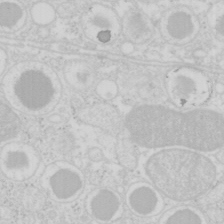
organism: Mouse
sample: Pancreas